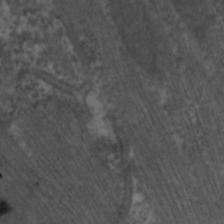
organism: C. elegans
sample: Pharynx